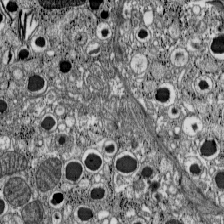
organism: C57BL Mouse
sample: Pancreatic islet